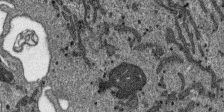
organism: Human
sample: Lung epithelial cells infected with SARS-CoV-2